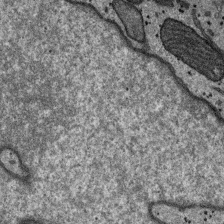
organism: Human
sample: Lung epithelial cells, uninfected (mock) control